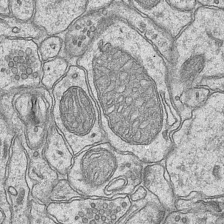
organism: Mouse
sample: CA1 Hippocampus